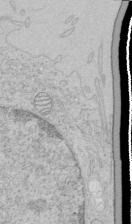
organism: Human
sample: Mitochondria in HCT116 cells